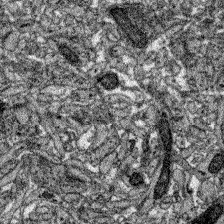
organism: Zebrafish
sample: Larval olfactory bulb